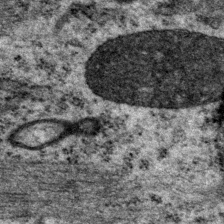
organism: P. pacificus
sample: Pharynx